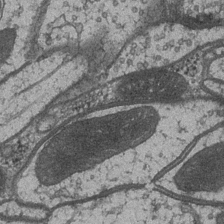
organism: Drosophila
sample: Optic medulla